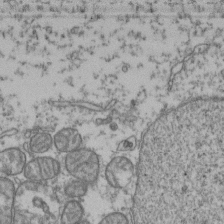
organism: Human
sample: Activated Jurkat CD4+ T cells